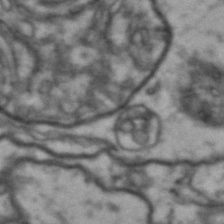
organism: Drosophila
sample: Brain